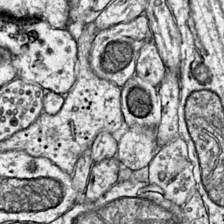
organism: Mouse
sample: Primary visual cortex